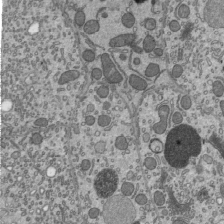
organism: Mouse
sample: Mouse epididymis efferent ductule cilia